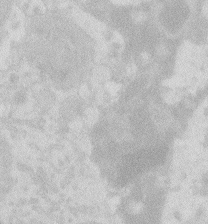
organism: Zebrafish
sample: Macrophage